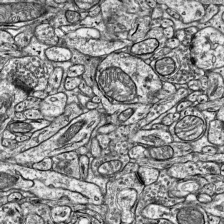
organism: Mouse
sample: Visual Cortex